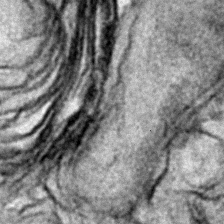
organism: Zebrafish